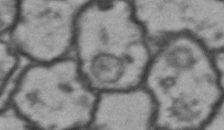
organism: Drosophila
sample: Brain